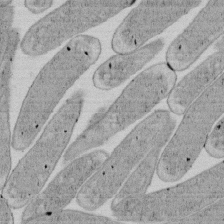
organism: E. coli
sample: Bacterial nucleoid